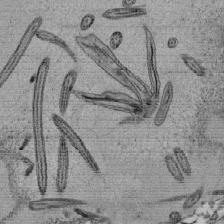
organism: Tetrahymena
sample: Cilia in tetrahymena